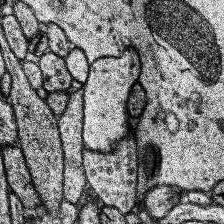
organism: Human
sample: Temporal Lobe